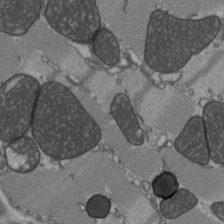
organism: C57BL Mouse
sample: Heart